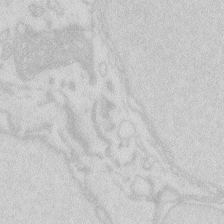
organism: Zebrafish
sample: Macrophage